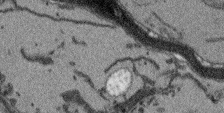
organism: Arabidopsis thaliana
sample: Root tip